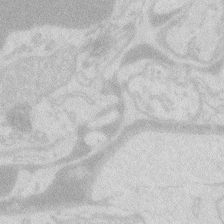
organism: Zebrafish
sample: Macrophage